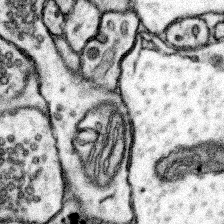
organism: Mouse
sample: Somatosensory cortex neuropil